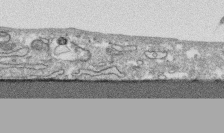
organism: Human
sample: CRL-1474